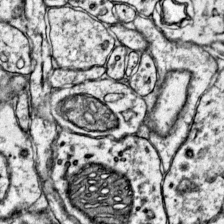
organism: Mouse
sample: Primary visual cortex